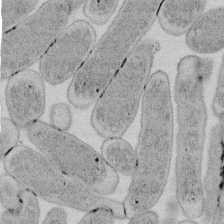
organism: E. coli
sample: Bacterial nucleoid